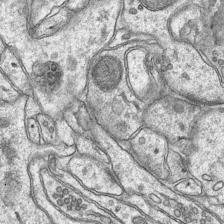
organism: Mouse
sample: CA1 Hippocampus